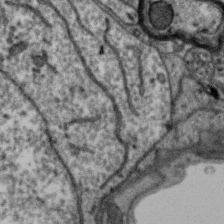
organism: Zebra finch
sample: Brain